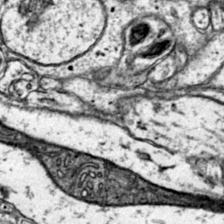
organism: Mouse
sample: Primary visual cortex